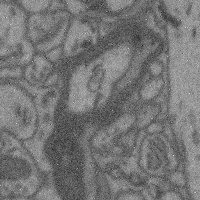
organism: Mouse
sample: Cerebral cortex